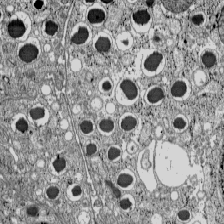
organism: C57BL Mouse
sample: Pancreatic islet